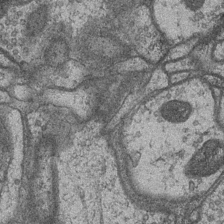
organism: Drosophila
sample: Optic medulla